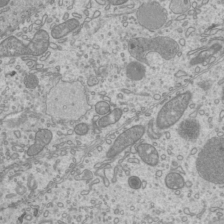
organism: Mouse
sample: Cilia; mouse epididymis